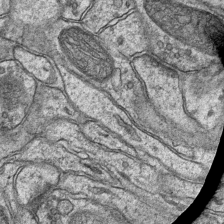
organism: Mouse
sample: CA1 Hippocampus